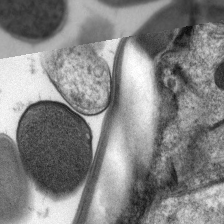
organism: C. elegans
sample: Pharynx